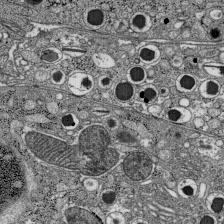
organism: C57BL Mouse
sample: Pancreatic islet